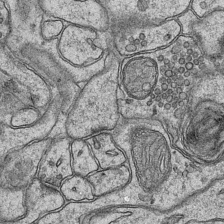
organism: Mouse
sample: CA1 Hippocampus